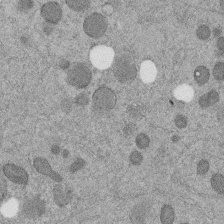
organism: C. elegans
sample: C. elegans embryo early stage